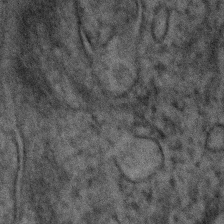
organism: Human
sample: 1205lu cells